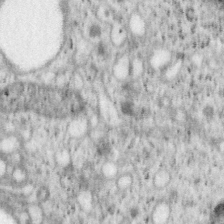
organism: Mouse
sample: OT-I killer T cells with ID8 ovarian cancer cells